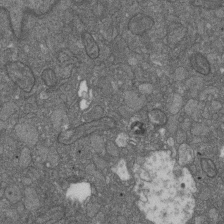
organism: Drosophila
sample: Nephrocyte